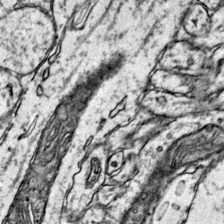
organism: Mouse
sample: Primary visual cortex